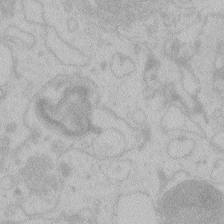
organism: Zebrafish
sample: Macrophage infected with Toxoplasma gondii